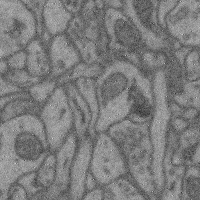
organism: Mouse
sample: Cerebral cortex